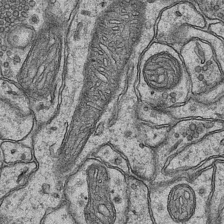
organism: Mouse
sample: CA1 Hippocampus